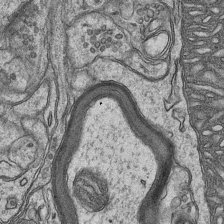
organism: Mouse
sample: CA1 Hippocampus